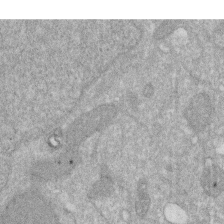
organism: Human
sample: HIV infected U937 cells